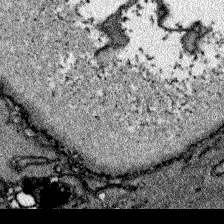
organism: Zebrafish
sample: Larval olfactory bulb